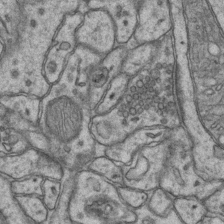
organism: Mouse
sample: CA1 Hippocampus